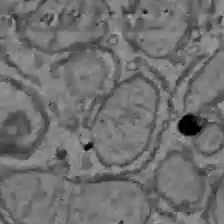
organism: C57BL Mouse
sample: Liver